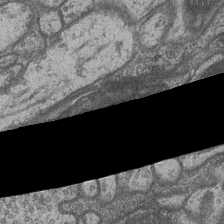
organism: Drosophila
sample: Optic medulla